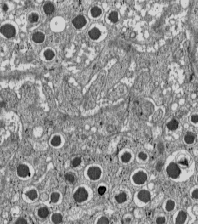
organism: C57BL Mouse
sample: Pancreatic islet